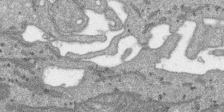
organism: Human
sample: Lung epithelial cells infected with SARS-CoV-2